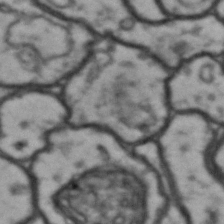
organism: Drosophila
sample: Brain